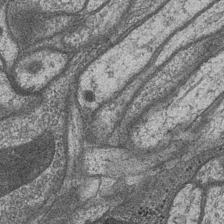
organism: Drosophila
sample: Optic medulla